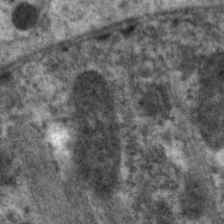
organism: C. elegans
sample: Pharynx